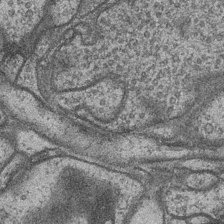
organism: Drosophila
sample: Optic medulla